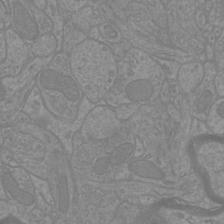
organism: Mouse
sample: Cortical neurons